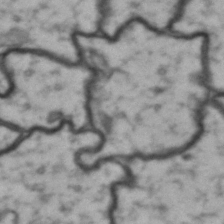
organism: Drosophila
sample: Brain